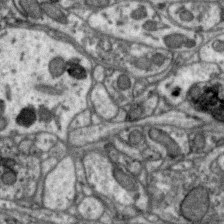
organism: Zebra finch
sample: Brain